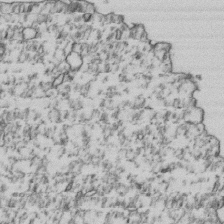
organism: Human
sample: Activated Jurkat CD4+ T cells